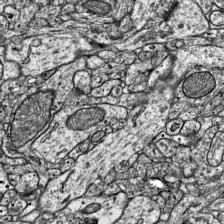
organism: Mouse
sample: Visual Cortex